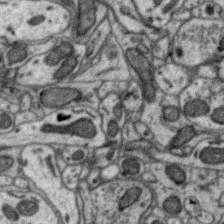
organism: Zebra finch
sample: Brain